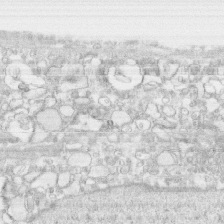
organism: Human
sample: CRL-1474